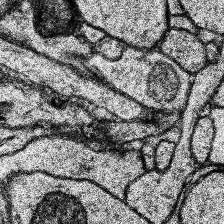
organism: Human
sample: Temporal Lobe